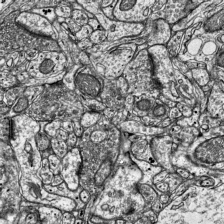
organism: Mouse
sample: Visual Cortex